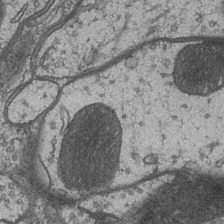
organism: Drosophila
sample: Optic medulla